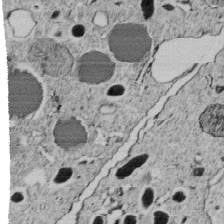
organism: C. elegans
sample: C. elegans embryo early stage